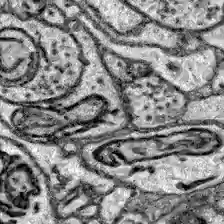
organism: Zebrafish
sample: Brain